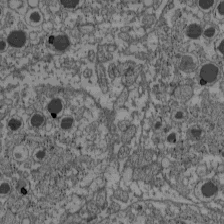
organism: C57BL Mouse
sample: Pancreatic islet